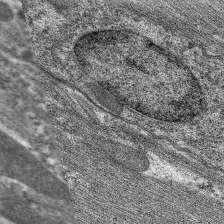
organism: C. elegans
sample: Pharynx